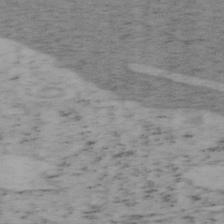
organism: Mouse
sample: OT-I killer T cells with ID8 ovarian cancer cells